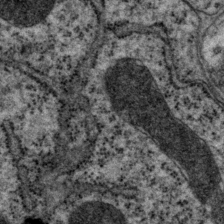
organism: P. pacificus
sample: Pharynx